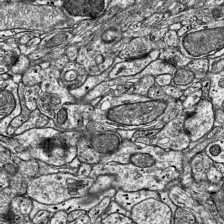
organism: Mouse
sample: Visual Cortex